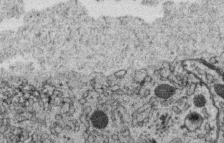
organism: C. elegans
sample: C. elegans oocyte; sperm cells